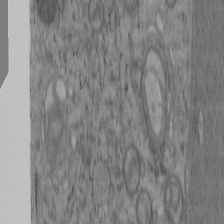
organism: Human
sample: HeLa cells